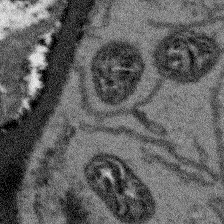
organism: Arabidopsis thaliana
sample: Root tip